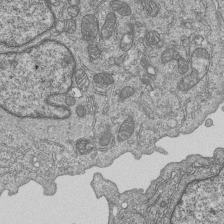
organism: Human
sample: MDA-MB-231 cells